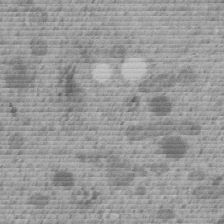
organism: C. elegans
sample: C. elegans embryo early stage